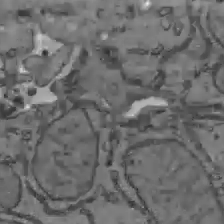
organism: C57BL Mouse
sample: Liver